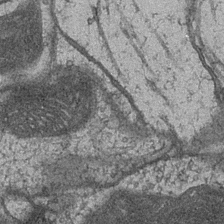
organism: Drosophila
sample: Optic medulla